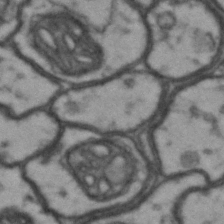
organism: Drosophila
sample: Brain